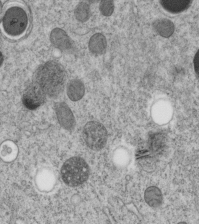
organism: C. elegans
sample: C. elegans embryo early stage